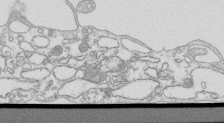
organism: Mouse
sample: Macrophages